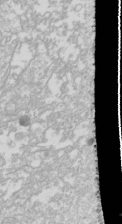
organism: Drosophila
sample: Cell division; meiosis; drosophila spermatocytes